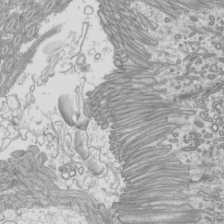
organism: Mouse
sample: Cilia; mouse epididymis